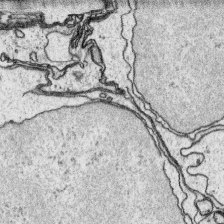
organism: Platynereis dumerilii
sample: Parapodia